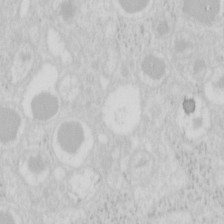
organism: Mouse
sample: Pancreas